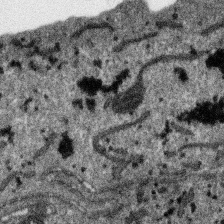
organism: Human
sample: Lung epithelial cells infected with SARS-CoV-2